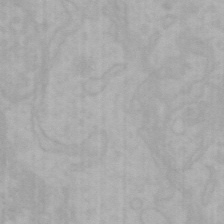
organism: Mouse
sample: Choroid plexus